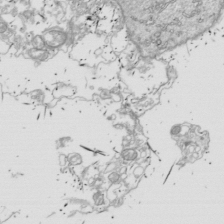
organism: Drosophila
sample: Cell division; meiosis; drosophila spermatocytes